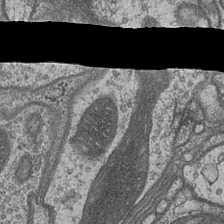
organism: Drosophila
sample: Optic medulla